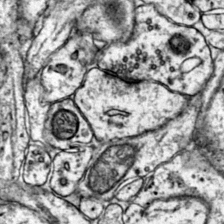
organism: Mouse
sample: Primary visual cortex